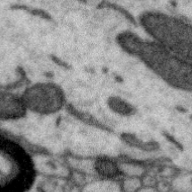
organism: Zebra finch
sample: Brain